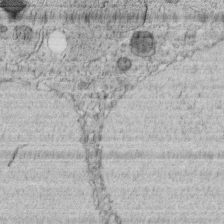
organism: C. elegans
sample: C. elegans embryo early stage